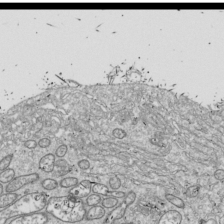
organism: Drosophila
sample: Cell division; meiosis; drosophila spermatocytes